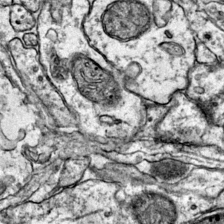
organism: Mouse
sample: Primary visual cortex